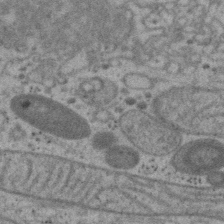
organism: Human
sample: HeLa cells